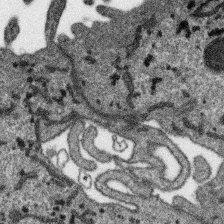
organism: Human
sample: Lung epithelial cells infected with SARS-CoV-2